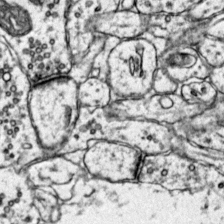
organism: Mouse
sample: Primary visual cortex